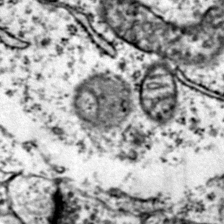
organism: Mouse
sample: Primary visual cortex